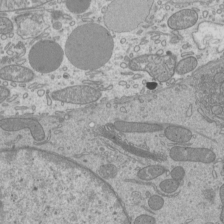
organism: Mouse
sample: Cilia; mouse epididymis